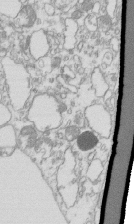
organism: Mouse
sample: Macrophages